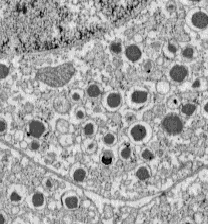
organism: C57BL Mouse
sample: Pancreatic islet